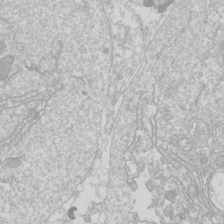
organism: Drosophila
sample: Cell division; meiosis; drosophila spermatocytes